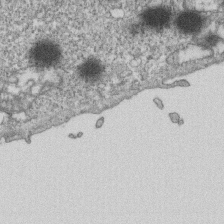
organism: Human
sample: HeLa cell HIV synapse